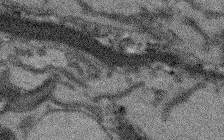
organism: Arabidopsis thaliana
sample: Root tip